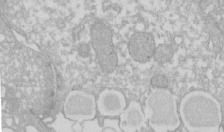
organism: Xenopus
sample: Cilia; centrioles in frog embryo cells